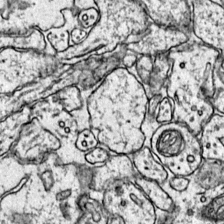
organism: Mouse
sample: Primary visual cortex